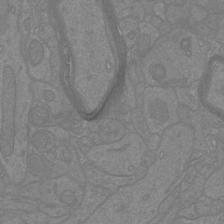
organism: Mouse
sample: Cortical neurons